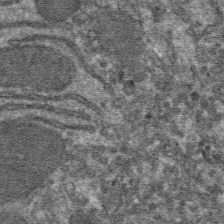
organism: Mouse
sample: Mouse hepatocytes